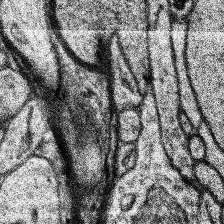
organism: Human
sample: Temporal Lobe